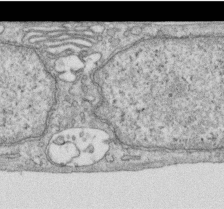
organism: Human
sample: Centriole in RPE cells